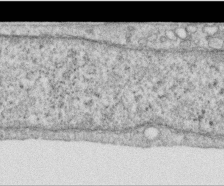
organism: Human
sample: Centriole in RPE cells